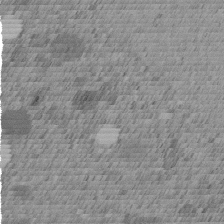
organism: C. elegans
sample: C. elegans embryo early stage